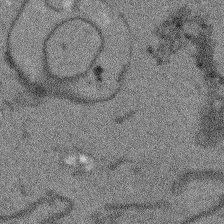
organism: Arabidopsis thaliana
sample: Root tip